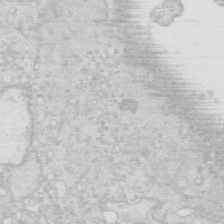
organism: Mouse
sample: Multiciliated cells